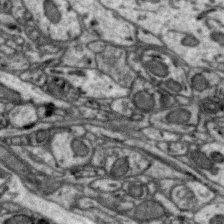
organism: Zebra finch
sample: Brain